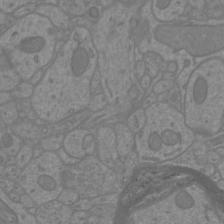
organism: Mouse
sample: Cortical neurons